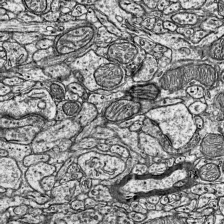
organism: Mouse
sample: Visual Cortex